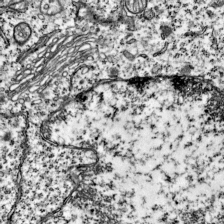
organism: Mouse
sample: Visual Cortex